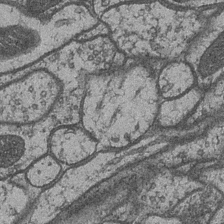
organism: Drosophila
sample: Optic medulla